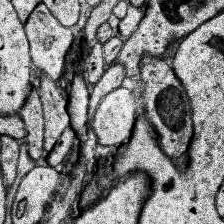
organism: Human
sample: Temporal Lobe